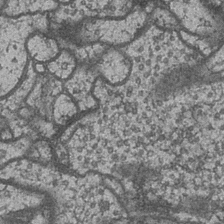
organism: Drosophila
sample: Optic medulla